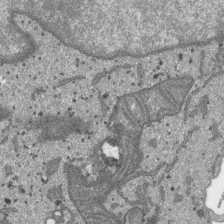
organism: Human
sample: Lung epithelial cells infected with SARS-CoV-2